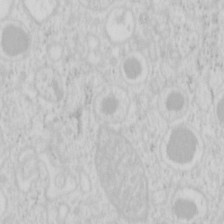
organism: Mouse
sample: Pancreas